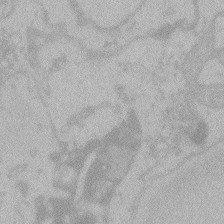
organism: Zebrafish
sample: Macrophage infected with Toxoplasma gondii